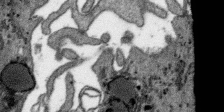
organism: Human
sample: Lung epithelial cells, uninfected (mock) control